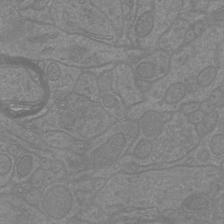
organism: Mouse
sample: Cortical neurons